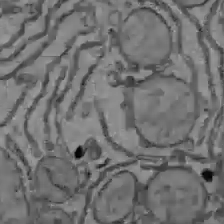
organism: C57BL Mouse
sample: Liver